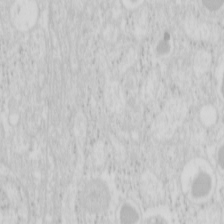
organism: Mouse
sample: Pancreas